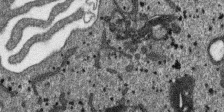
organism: Human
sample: Lung epithelial cells infected with SARS-CoV-2